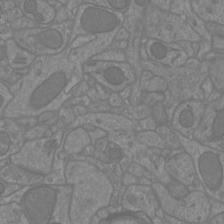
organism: Mouse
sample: Cortical neurons